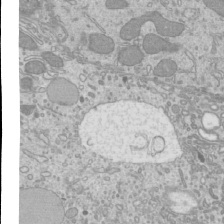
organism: Mouse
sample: Cilia; mouse epididymis